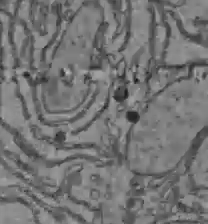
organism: C57BL Mouse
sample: Liver